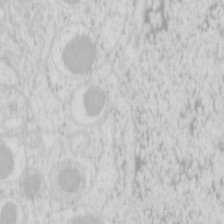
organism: Mouse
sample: Pancreas